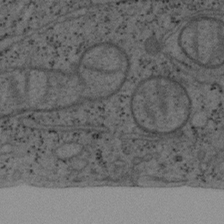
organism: Human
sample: HeLa cells